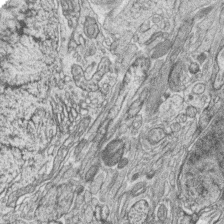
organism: Zebrafish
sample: synaptic ribbons in rod cells and cone cells